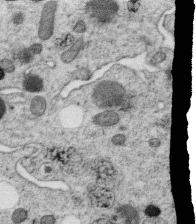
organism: C. elegans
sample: C. elegans oocyte; sperm cells